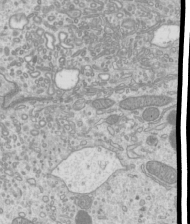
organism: Mouse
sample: Cilia; mouse epididymis